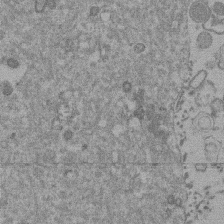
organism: Mouse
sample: Dividing mouse embryo 1 cell stage